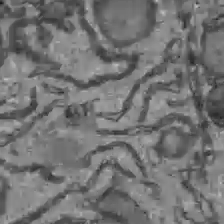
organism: C57BL Mouse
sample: Liver